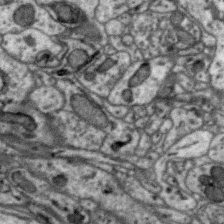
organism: Zebra finch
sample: Brain